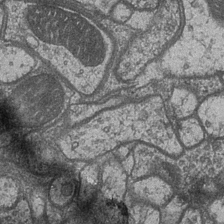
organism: Drosophila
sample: Optic medulla